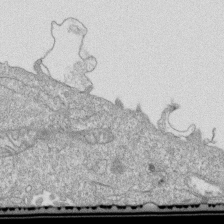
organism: Human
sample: HeLa cell HIV synapse